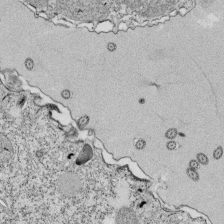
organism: Tetrahymena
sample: Cilia in tetrahymena